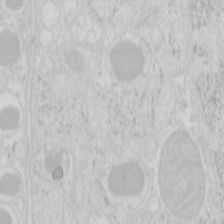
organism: Mouse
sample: Pancreas